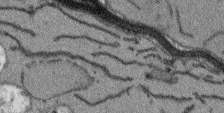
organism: Arabidopsis thaliana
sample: Root tip